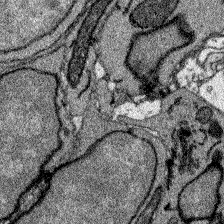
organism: Zebrafish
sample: Larval olfactory bulb